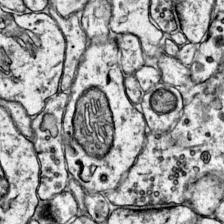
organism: Mouse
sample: Primary visual cortex